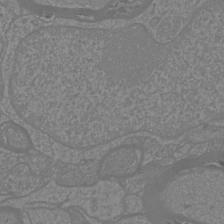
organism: Mouse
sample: Cortical neurons